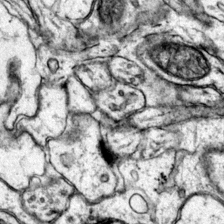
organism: Mouse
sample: Primary visual cortex